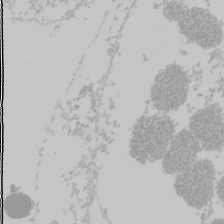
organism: Mouse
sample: Cancer cell death in ED-1 cells